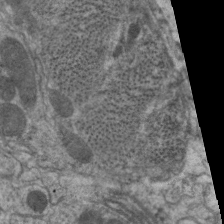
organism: C. elegans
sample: Pharynx